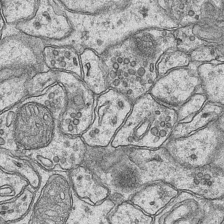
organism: Mouse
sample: CA1 Hippocampus